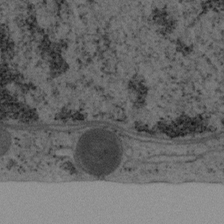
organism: Human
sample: HeLa cells